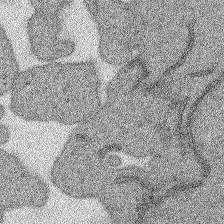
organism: Human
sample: HeLa cells